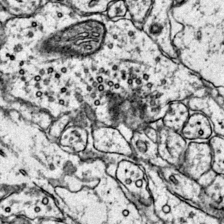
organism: Mouse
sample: Primary visual cortex